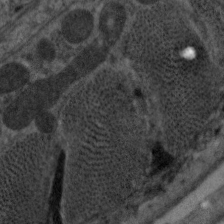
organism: C. elegans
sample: Pharynx